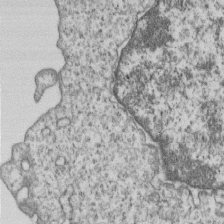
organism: Human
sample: MDA-MB-231 cells